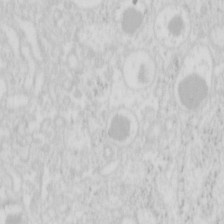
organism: Mouse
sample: Pancreas